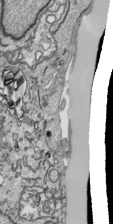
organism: Human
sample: Mitochondria in HCT116 cells